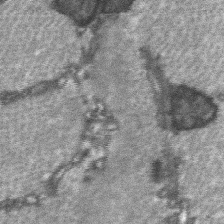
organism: C57BL Mouse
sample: Soleus